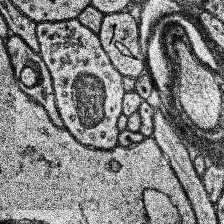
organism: Human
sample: Temporal Lobe